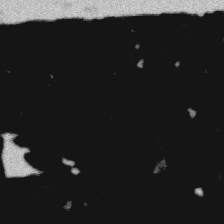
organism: Platynereis dumerilii